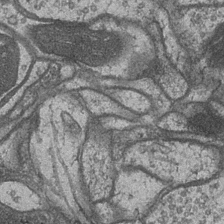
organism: Drosophila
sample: Optic medulla